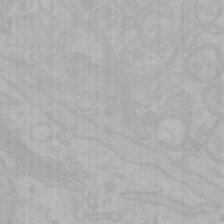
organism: Mouse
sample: Choroid plexus